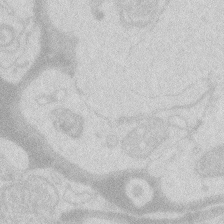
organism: Zebrafish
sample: Macrophage